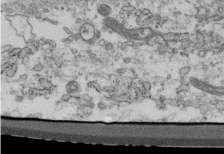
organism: Mouse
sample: Cilia; retinal pigment epithelium